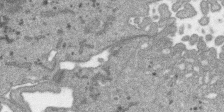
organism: Human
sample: Lung epithelial cells infected with SARS-CoV-2